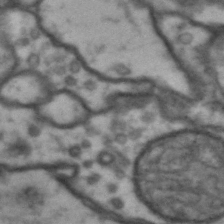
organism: Drosophila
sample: Brain